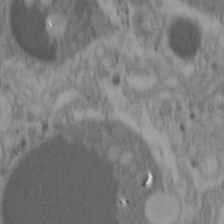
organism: Mouse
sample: OT-I killer T cells with ID8 ovarian cancer cells